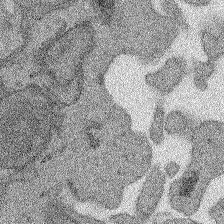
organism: Human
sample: HeLa cells